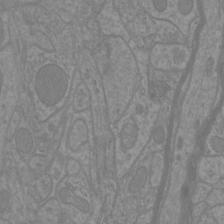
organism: Mouse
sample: Cortical neurons